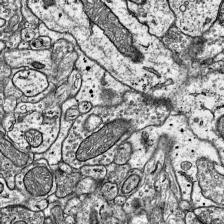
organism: Mouse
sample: Visual Cortex